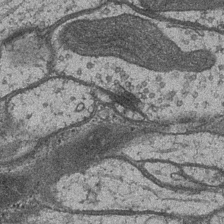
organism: Drosophila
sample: Optic medulla